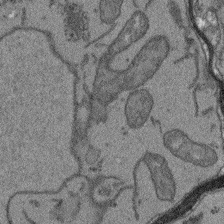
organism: Arabidopsis thaliana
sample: Root tip